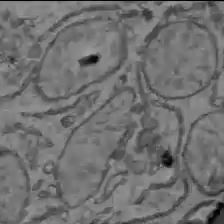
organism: C57BL Mouse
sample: Liver